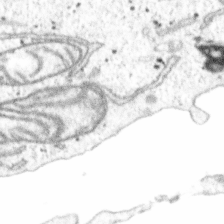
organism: Human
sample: HeLa cells